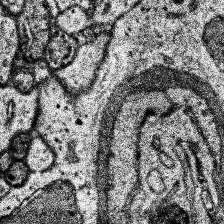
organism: Human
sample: Temporal Lobe